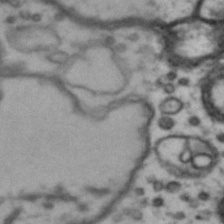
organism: Drosophila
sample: Brain